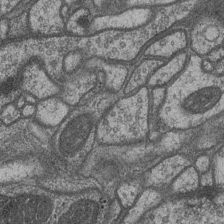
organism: Drosophila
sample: Optic medulla